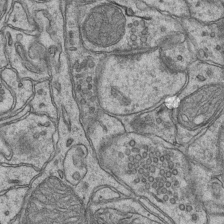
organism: Mouse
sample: CA1 Hippocampus